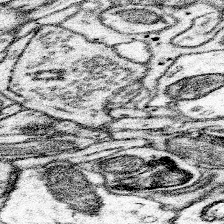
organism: Mouse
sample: Somatosensory cortex neuropil